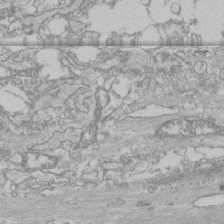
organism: Human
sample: CRL-1474